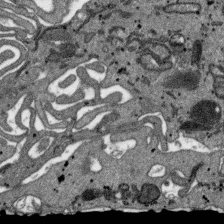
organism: Human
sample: Lung epithelial cells, uninfected (mock) control